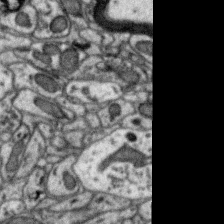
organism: Zebra finch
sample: Brain